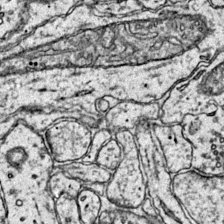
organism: Mouse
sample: Primary visual cortex